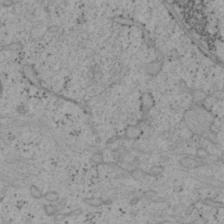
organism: Human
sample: HeLa cells